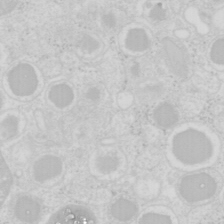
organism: Mouse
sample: Pancreas